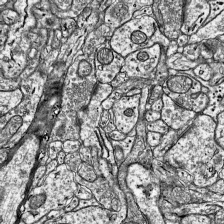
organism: Mouse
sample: Visual Cortex